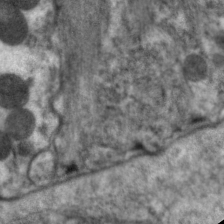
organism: C. elegans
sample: Pharynx